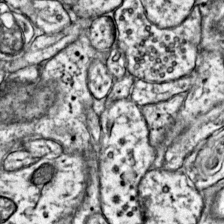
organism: Mouse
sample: Primary visual cortex